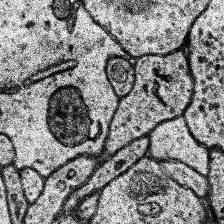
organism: Human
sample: Temporal Lobe